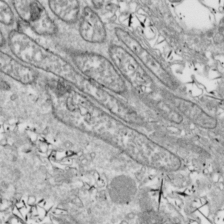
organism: Drosophila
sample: Cell division; meiosis; drosophila spermatocytes